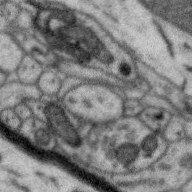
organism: Zebra finch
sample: Brain